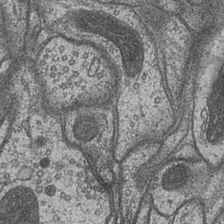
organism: Drosophila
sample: Optic medulla